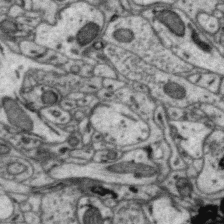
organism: Zebra finch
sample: Brain